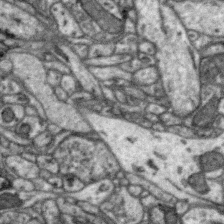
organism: Zebra finch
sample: Brain